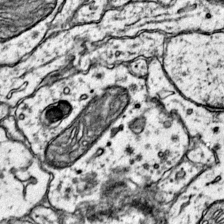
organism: Mouse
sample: Primary visual cortex